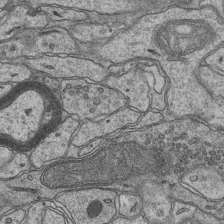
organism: Mouse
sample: CA1 Hippocampus